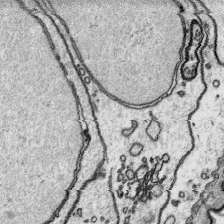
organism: Platynereis dumerilii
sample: Parapodia